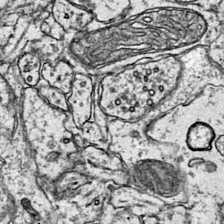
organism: Mouse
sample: Primary visual cortex